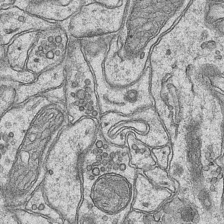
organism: Mouse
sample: CA1 Hippocampus